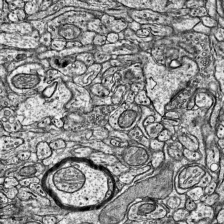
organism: Mouse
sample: Visual Cortex